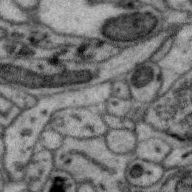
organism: Zebra finch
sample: Brain